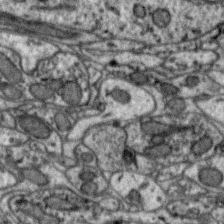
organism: Zebra finch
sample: Brain